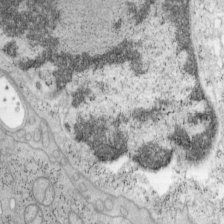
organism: Mouse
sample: OT-I killer T cells with ID8 ovarian cancer cells